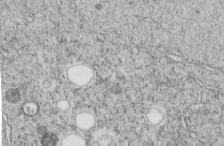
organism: C. elegans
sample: C. elegans embryo early stage